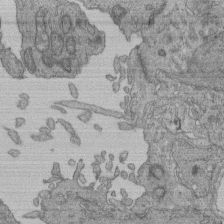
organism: Human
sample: Retinal organoid Rod and Cone cells